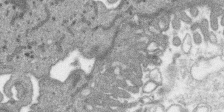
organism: Human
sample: Lung epithelial cells infected with SARS-CoV-2